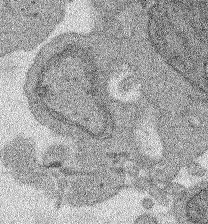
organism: Human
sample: HeLa cells